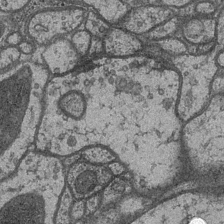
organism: Drosophila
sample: Optic medulla